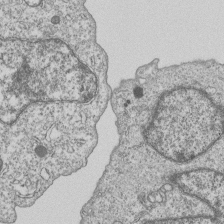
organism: Human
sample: MDA-MB-231 cells